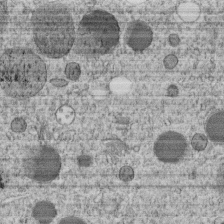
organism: C. elegans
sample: C. elegans embryo early stage